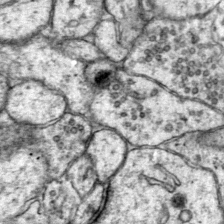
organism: Mouse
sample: Primary visual cortex